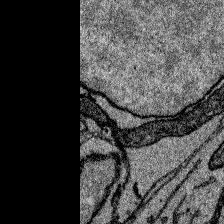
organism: Zebrafish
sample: Larval olfactory bulb